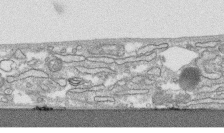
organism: Human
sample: CRL-1474